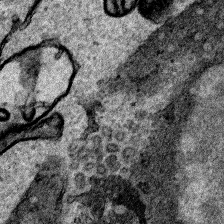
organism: Human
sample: Mitochondria in HCT116 cells